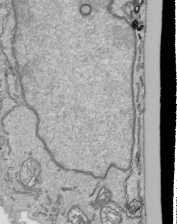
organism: Human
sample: Mitochondria in HCT116 cells